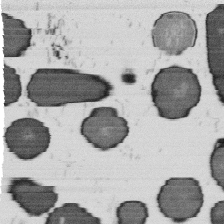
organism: B. subtilis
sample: Bacterial spore